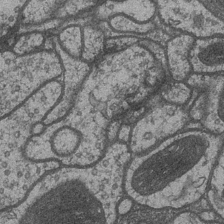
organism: Drosophila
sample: Optic medulla